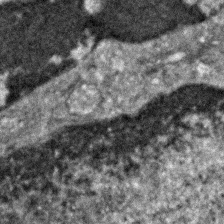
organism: Zebrafish